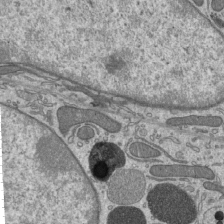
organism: Mouse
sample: Mouse epididymis efferent ductule cilia